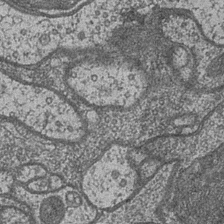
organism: Drosophila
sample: Optic medulla